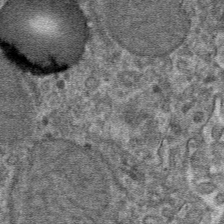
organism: Mouse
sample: Mouse hepatocytes